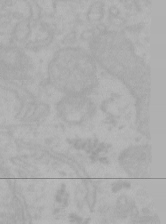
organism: Mouse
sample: Choroid plexus